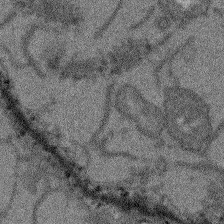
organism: Arabidopsis thaliana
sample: Root tip